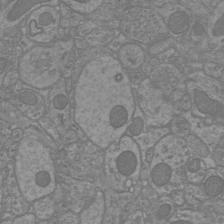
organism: Mouse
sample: Cortical neurons